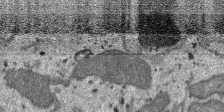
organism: Human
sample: Lung epithelial cells infected with SARS-CoV-2